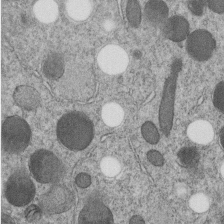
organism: C. elegans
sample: C. elegans embryo early stage